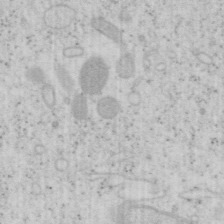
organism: Human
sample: HeLa cells